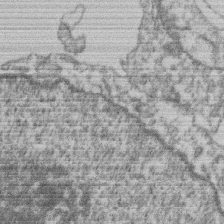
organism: Mouse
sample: T cell stromal cell synapse